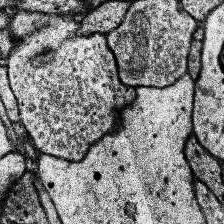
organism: Human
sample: Temporal Lobe